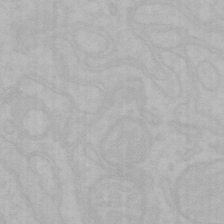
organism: Mouse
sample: Choroid plexus